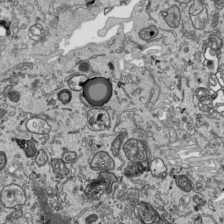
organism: Human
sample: Mitochondria in HCT116 cells